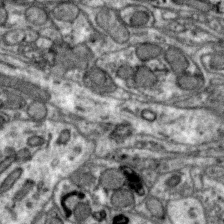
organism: Zebra finch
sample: Brain